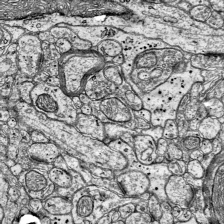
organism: Mouse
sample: Visual Cortex